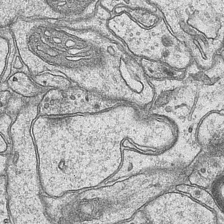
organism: Mouse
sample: CA1 Hippocampus